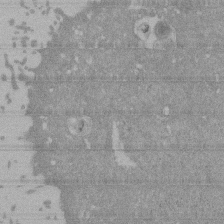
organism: Mouse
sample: ED-1 cell nuclei; centrioles